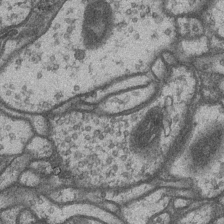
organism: Drosophila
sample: Optic medulla